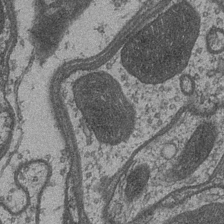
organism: Drosophila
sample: Optic medulla